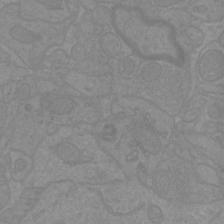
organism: Mouse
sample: Cortical neurons